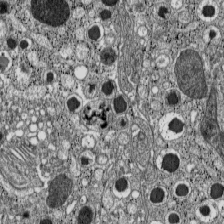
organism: C57BL Mouse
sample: Pancreatic islet